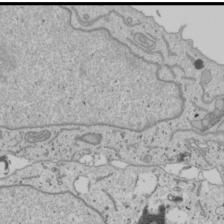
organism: Human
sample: Mitochondria in U2OS cells